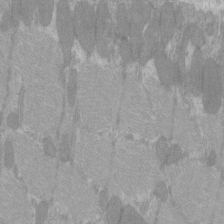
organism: C57BL Mouse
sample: Tibialis anterior muscle cell